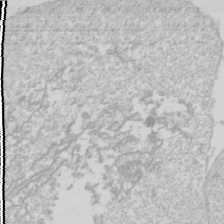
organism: Drosophila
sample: Cell division; meiosis; drosophila spermatocytes